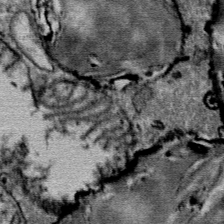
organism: Mouse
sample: Mouse Salivary gland